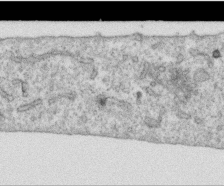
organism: Human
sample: Centriole in RPE cells